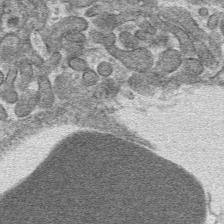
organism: Mouse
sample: Mouse hepatocytes